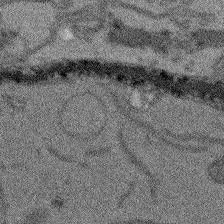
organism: Arabidopsis thaliana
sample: Root tip